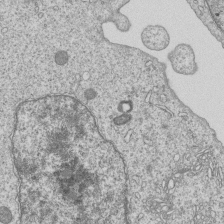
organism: Human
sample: MDA-MB-231 cells